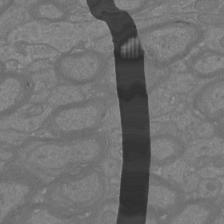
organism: Mouse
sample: Cortical neurons